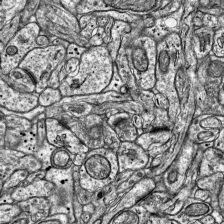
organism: Mouse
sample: Visual Cortex